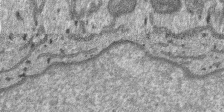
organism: Human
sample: Lung epithelial cells infected with SARS-CoV-2